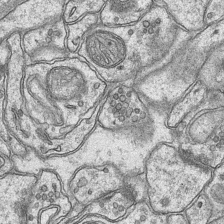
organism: Mouse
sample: CA1 Hippocampus